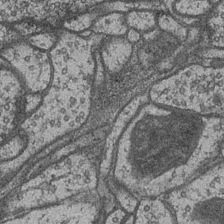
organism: Drosophila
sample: Optic medulla